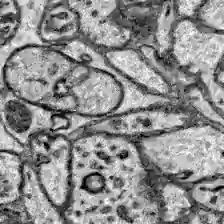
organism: Zebrafish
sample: Brain